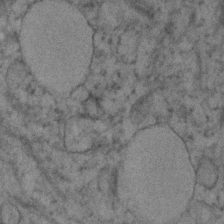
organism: Human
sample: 1205lu cells